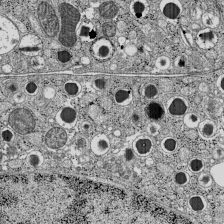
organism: C57BL Mouse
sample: Pancreatic islet